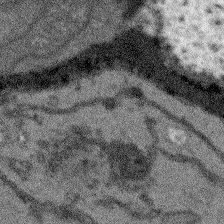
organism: Arabidopsis thaliana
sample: Root tip